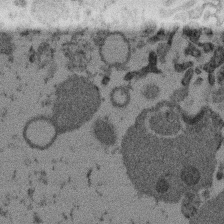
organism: Mouse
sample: Dividing mouse embryo 1 cell stage